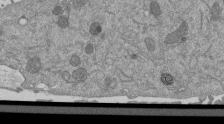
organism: Mouse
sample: ED-1 cell nuclei; centrioles